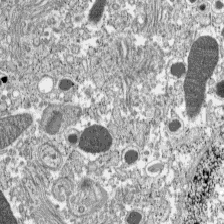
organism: C57BL Mouse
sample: Pancreatic islet